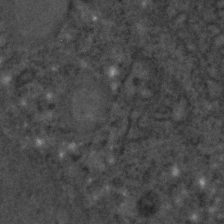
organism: C. elegans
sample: C. elegans embryo